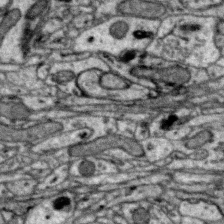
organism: Zebra finch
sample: Brain